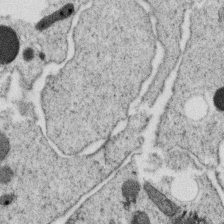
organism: C. elegans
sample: C. elegans oocyte; sperm cells